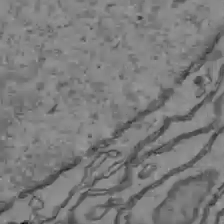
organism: C57BL Mouse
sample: Liver